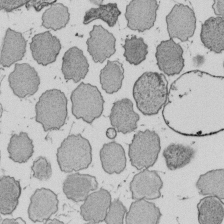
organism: E. coli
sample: Bacterial nucleoid